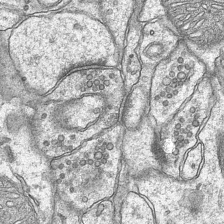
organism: Mouse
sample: CA1 Hippocampus